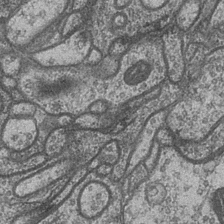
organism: Drosophila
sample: Optic medulla